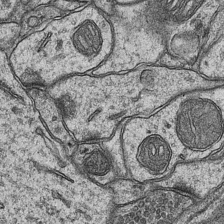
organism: Mouse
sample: CA1 Hippocampus